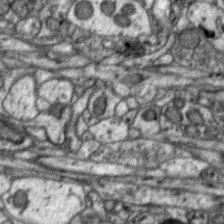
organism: Zebra finch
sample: Brain